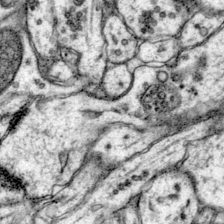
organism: Mouse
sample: Primary visual cortex